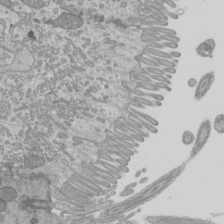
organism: Mouse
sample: Cilia; mouse epididymis